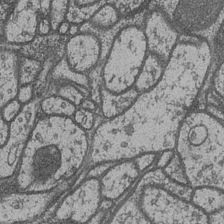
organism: Drosophila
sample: Optic medulla